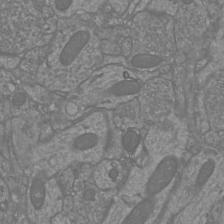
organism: Mouse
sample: Cortical neurons